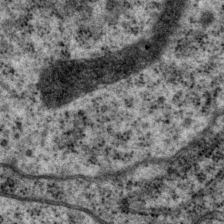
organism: P. pacificus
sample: Pharynx